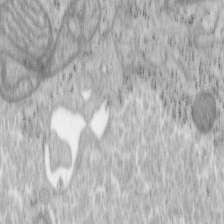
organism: Human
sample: HeLa cells